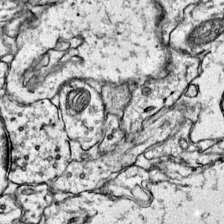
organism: Mouse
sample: Primary visual cortex